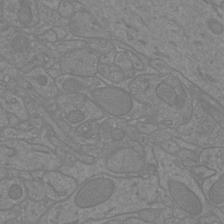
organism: Mouse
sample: Cortical neurons